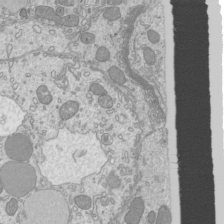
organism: Mouse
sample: Cilia; mouse epididymis